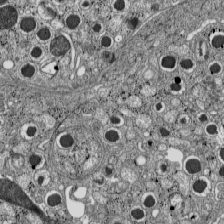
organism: C57BL Mouse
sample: Pancreatic islet